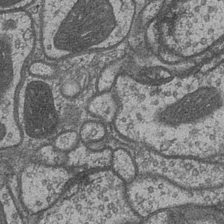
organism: Drosophila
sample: Optic medulla